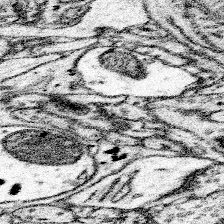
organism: Mouse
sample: Somatosensory cortex neuropil